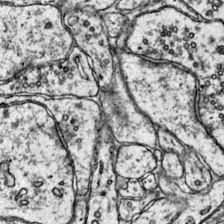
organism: Mouse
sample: Primary visual cortex